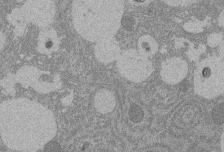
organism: Rat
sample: Salivary granule